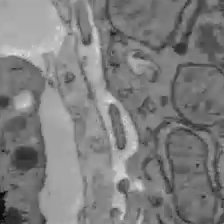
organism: C57BL Mouse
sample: Liver